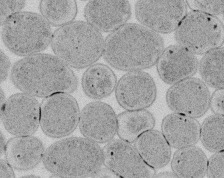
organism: E. coli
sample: Bacterial nucleoid